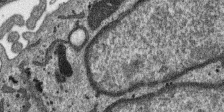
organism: Human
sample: Lung epithelial cells infected with SARS-CoV-2